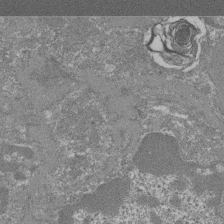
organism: Mouse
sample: Glomerulus